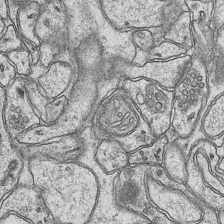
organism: Mouse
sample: CA1 Hippocampus